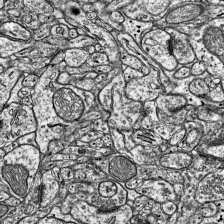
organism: Mouse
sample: Visual Cortex